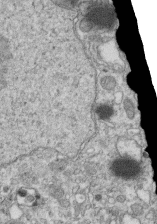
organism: Human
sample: HeLa cell HIV synapse